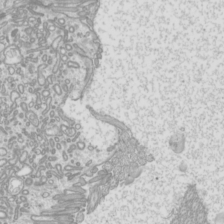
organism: Mouse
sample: Cilia; mouse epididymis